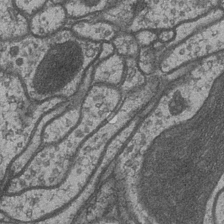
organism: Drosophila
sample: Optic medulla